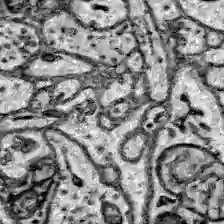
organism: Zebrafish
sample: Brain